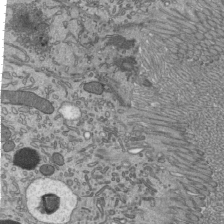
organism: Mouse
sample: Mouse epididymis efferent ductule cilia